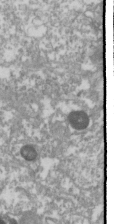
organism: Drosophila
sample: Cell division; meiosis; drosophila spermatocytes